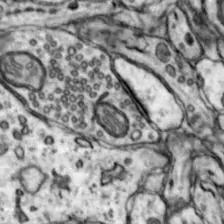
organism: Mouse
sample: Nucleus accumbens